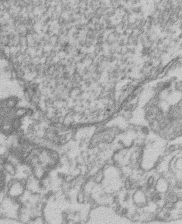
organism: Mouse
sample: T cell stromal cell synapse